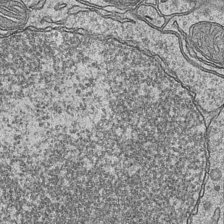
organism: Mouse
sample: CA1 Hippocampus